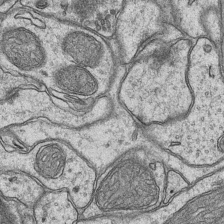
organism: Mouse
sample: CA1 Hippocampus